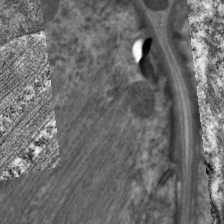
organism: C. elegans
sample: Pharynx